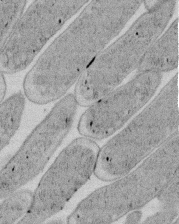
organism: E. coli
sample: Bacterial nucleoid